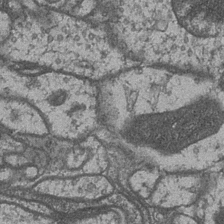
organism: Drosophila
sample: Optic medulla